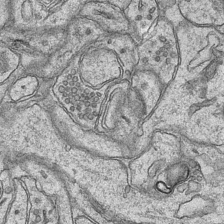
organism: Mouse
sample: CA1 Hippocampus